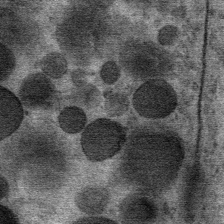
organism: Mouse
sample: Mouse Salivary gland